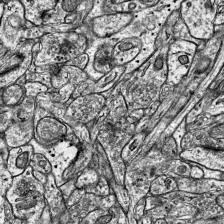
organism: Mouse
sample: Visual Cortex